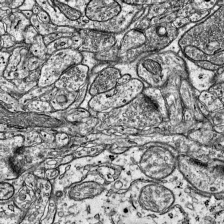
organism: Mouse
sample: Visual Cortex